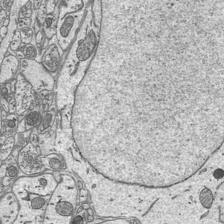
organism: Mouse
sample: Suprachiasmatic nucleus